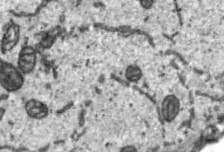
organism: Human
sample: HeLa cells